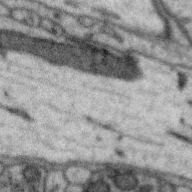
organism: Zebra finch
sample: Brain